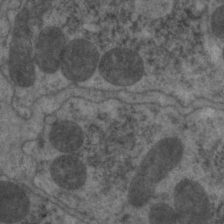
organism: C. elegans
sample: Pharynx